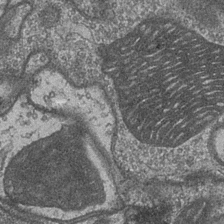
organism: Drosophila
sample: Optic medulla